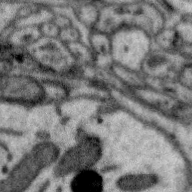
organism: Zebra finch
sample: Brain